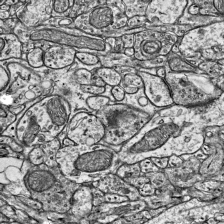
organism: Mouse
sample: Visual Cortex